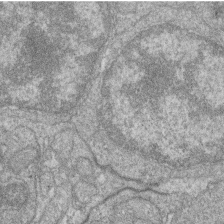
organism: Zebrafish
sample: Cilia; retinal pigment epithelium